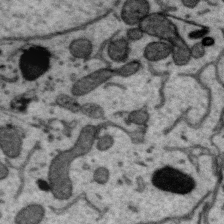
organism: Zebra finch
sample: Brain